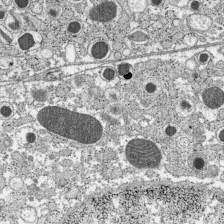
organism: C57BL Mouse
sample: Pancreatic islet